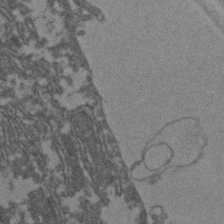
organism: Zebrafish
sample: Zebrafish embryo